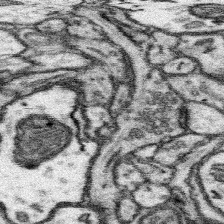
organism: Mouse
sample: Somatosensory cortex neuropil